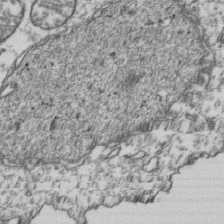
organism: Human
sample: Activated Jurkat CD4+ T cells